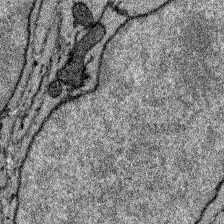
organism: Zebrafish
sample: Larval olfactory bulb